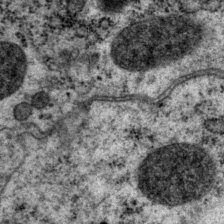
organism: P. pacificus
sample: Pharynx